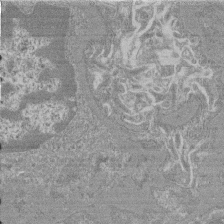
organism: Mouse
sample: Glomerulus